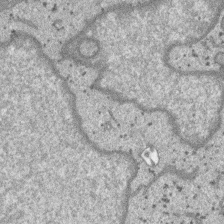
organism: Human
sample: Lung epithelial cells infected with SARS-CoV-2